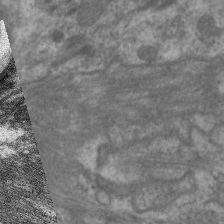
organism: C. elegans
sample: Pharynx